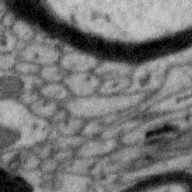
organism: Zebra finch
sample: Brain